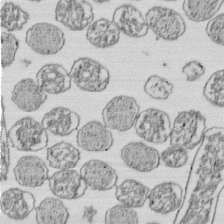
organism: E. coli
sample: Bacterial nucleoid